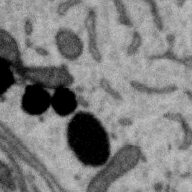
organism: Zebra finch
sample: Brain